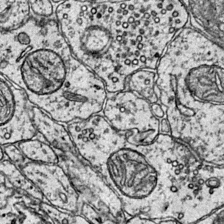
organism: Mouse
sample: Primary visual cortex